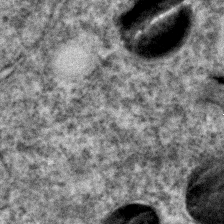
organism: C. elegans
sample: C. elegans embryo